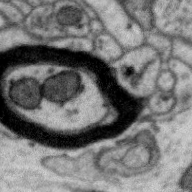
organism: Zebra finch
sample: Brain